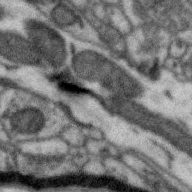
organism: Zebra finch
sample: Brain